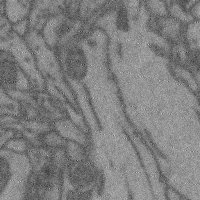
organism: Mouse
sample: Cerebral cortex